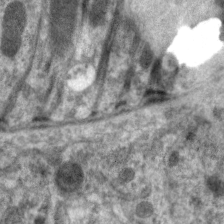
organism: C. elegans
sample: Pharynx